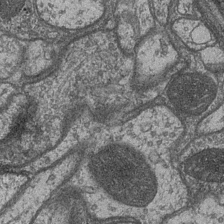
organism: Drosophila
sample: Optic medulla